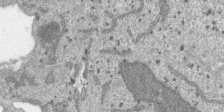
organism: Human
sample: Lung epithelial cells infected with SARS-CoV-2